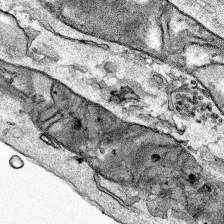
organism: Human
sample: Mitochondria in HCT116 cells